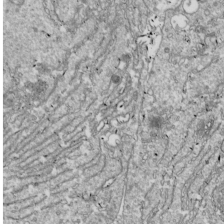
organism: Drosophila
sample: Cell division; meiosis; drosophila spermatocytes